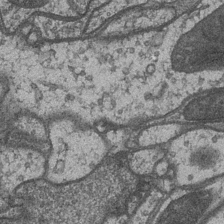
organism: Drosophila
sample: Optic medulla